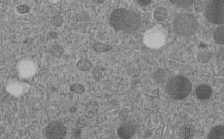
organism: C. elegans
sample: C. elegans embryo early stage